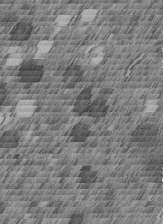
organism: C. elegans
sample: C. elegans embryo early stage